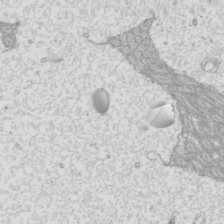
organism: Mouse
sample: Cilia; mouse epididymis